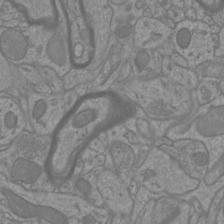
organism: Mouse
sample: Cortical neurons